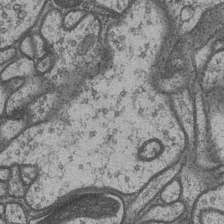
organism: Drosophila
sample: Optic medulla